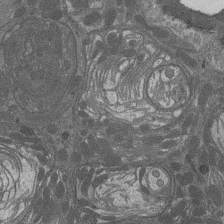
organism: Drosophila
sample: Antenna